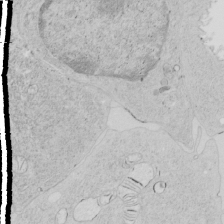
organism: Human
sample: Mitochondria in HCT116 cells